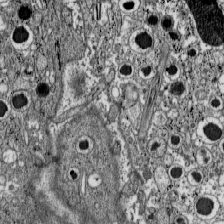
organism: C57BL Mouse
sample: Pancreatic islet